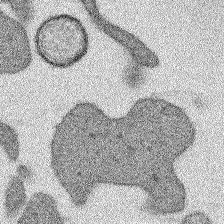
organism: Human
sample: HeLa cells